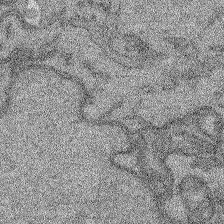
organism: Human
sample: HeLa cells